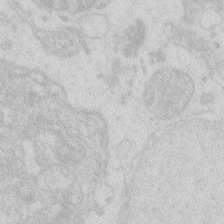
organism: Zebrafish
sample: Macrophage